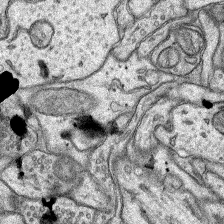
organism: Rat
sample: Hippocampus